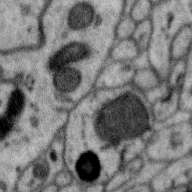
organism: Zebra finch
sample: Brain